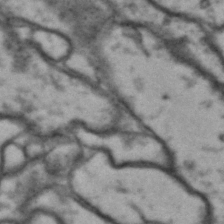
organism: Drosophila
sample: Brain